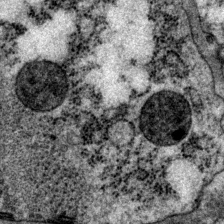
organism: P. pacificus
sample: Pharynx